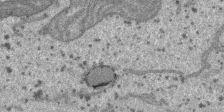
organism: Human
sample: Lung epithelial cells infected with SARS-CoV-2